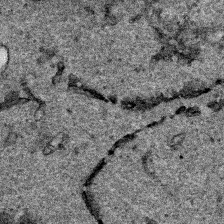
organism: Human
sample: Mitochondria in HCT116 cells